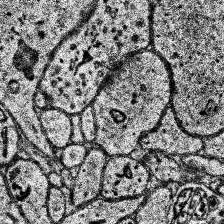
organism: Human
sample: Temporal Lobe